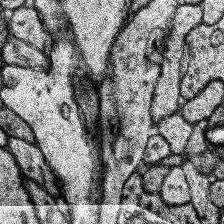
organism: Human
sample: Temporal Lobe